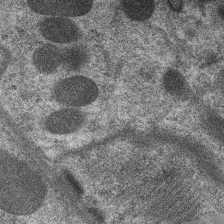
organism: C. elegans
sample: Pharynx